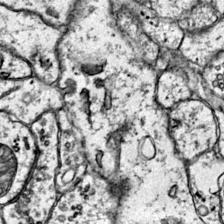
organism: Mouse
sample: Primary visual cortex